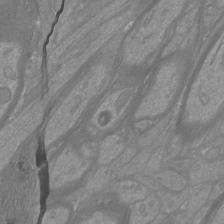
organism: Mouse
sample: Cortical neurons